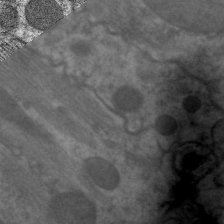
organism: C. elegans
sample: Pharynx